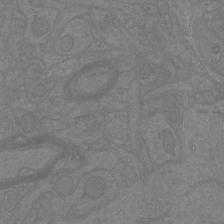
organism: Mouse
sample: Cortical neurons